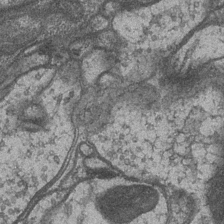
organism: Drosophila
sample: Optic medulla